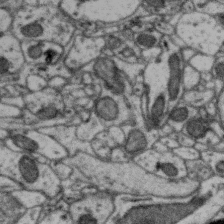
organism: Zebra finch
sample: Brain